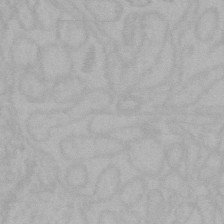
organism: Mouse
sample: Choroid plexus